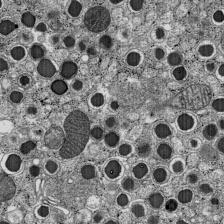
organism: C57BL Mouse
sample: Pancreatic islet